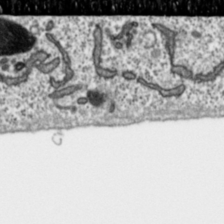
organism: Toxoplasma gondii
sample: Parasites in a vacuole inside a host cell